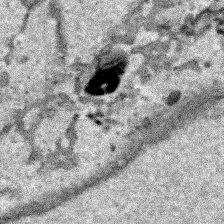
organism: Human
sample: Mitochondria in HCT116 cells